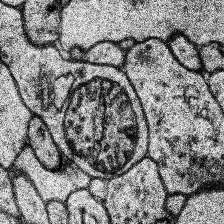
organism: Human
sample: Temporal Lobe